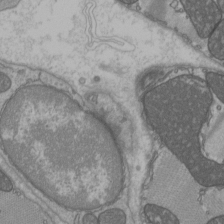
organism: C57BL Mouse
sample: Heart